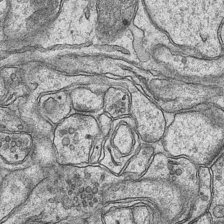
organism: Mouse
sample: CA1 Hippocampus